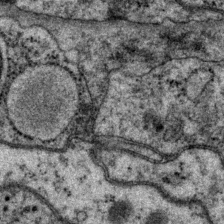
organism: P. pacificus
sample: Pharynx